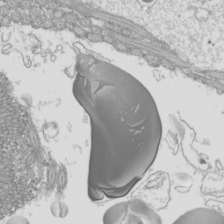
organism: Mouse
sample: Cilia; mouse epididymis